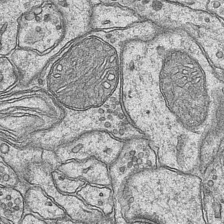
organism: Mouse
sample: CA1 Hippocampus